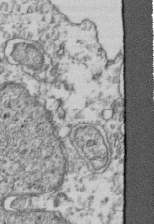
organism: Human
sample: Activated Jurkat CD4+ T cells